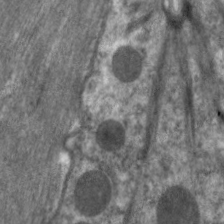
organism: C. elegans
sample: Pharynx